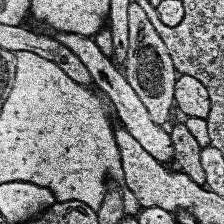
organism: Human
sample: Temporal Lobe